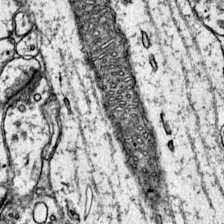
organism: Mouse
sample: Primary visual cortex